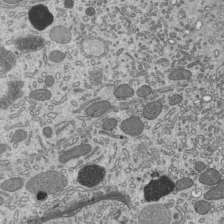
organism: Mouse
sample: Mouse epididymis efferent ductule cilia